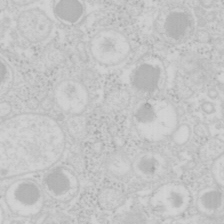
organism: Mouse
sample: Pancreas